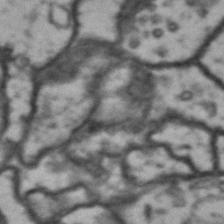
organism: Drosophila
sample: Brain